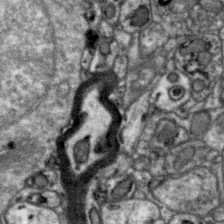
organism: Zebra finch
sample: Brain